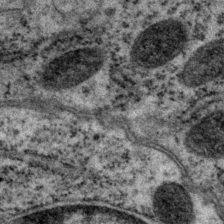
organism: P. pacificus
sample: Pharynx